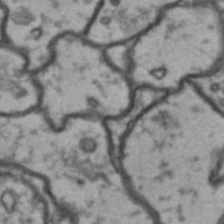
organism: Drosophila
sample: Brain